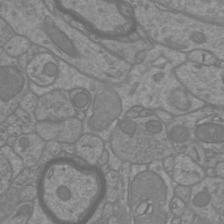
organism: Mouse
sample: Cortical neurons